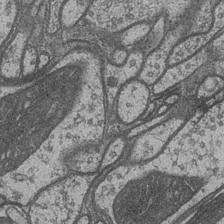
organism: Drosophila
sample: Optic medulla